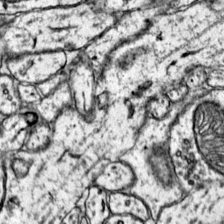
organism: Mouse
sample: Primary visual cortex